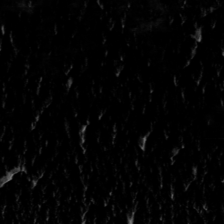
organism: Toxoplasma gondii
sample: Parasites in a vacuole inside a host cell